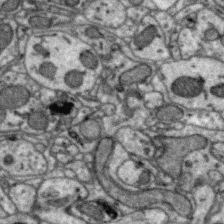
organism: Zebra finch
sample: Brain